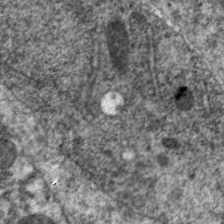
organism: C. elegans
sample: Pharynx